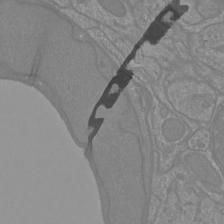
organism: Mouse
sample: Cortical neurons